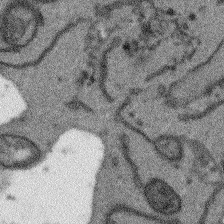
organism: Arabidopsis thaliana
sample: Root tip